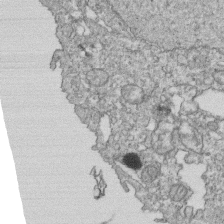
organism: Human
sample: HeLa cell HIV synapse